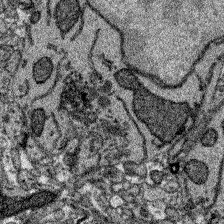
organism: Zebrafish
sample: Larval olfactory bulb